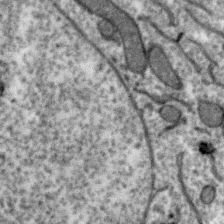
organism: Zebra finch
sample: Brain